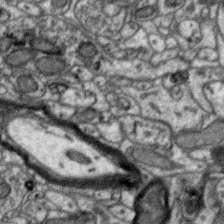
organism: Zebra finch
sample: Brain